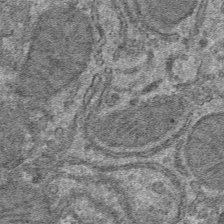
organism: Mouse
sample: Mouse hepatocytes